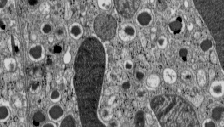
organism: C57BL Mouse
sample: Pancreatic islet